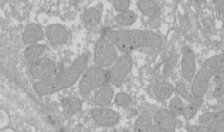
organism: Xenopus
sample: Cilia; centrioles in frog embryo cells